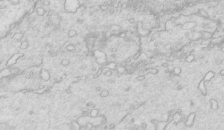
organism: Mouse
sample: Multiciliated cells